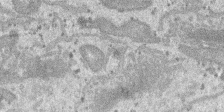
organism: Human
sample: Lung epithelial cells infected with SARS-CoV-2